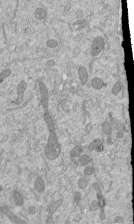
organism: Mouse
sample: ED-1 cell nuclei; centrioles